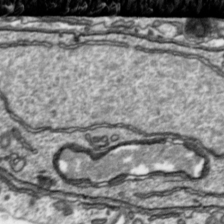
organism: Toxoplasma gondii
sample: Parasites in a vacuole inside a host cell